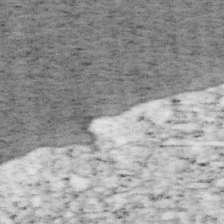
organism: Mouse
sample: OT-I killer T cells with ID8 ovarian cancer cells